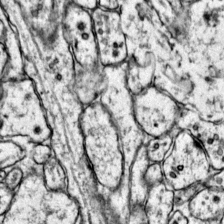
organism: Mouse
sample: Primary visual cortex